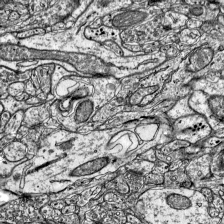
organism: Mouse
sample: Visual Cortex